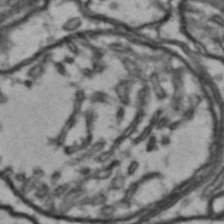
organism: Drosophila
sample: Brain